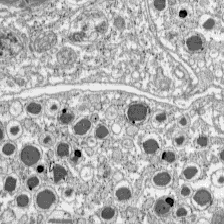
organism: C57BL Mouse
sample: Pancreatic islet